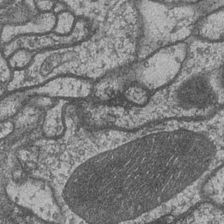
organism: Drosophila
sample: Optic medulla